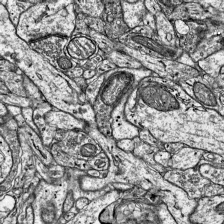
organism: Mouse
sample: Visual Cortex